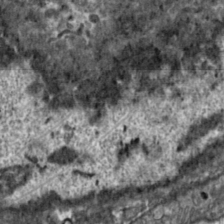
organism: Toxoplasma gondii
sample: Parasites in a vacuole inside a host cell